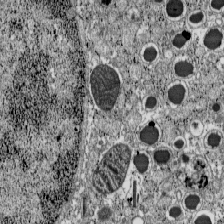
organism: C57BL Mouse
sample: Pancreatic islet